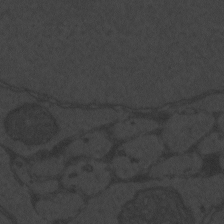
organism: Zebrafish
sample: Macrophage infected with Toxoplasma gondii